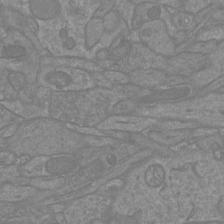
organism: Mouse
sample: Cortical neurons